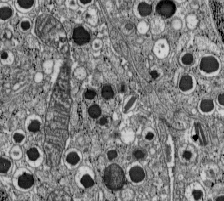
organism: C57BL Mouse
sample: Pancreatic islet